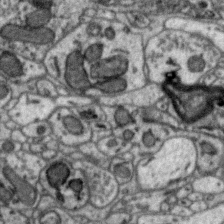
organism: Zebra finch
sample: Brain